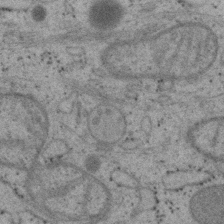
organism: Human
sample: HeLa cells